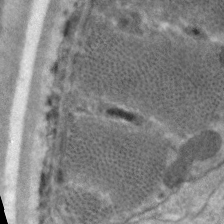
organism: C. elegans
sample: Pharynx